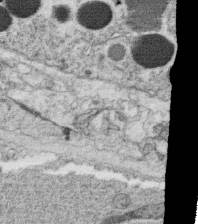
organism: C. elegans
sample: C. elegans oocyte; sperm cells